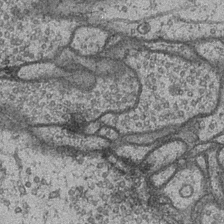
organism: Drosophila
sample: Optic medulla